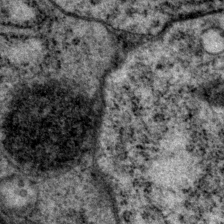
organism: P. pacificus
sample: Pharynx